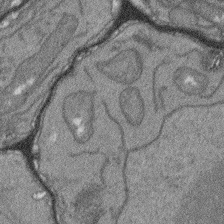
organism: Arabidopsis thaliana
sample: Root tip